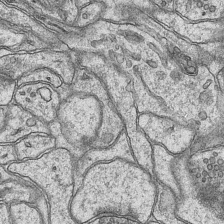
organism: Mouse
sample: CA1 Hippocampus